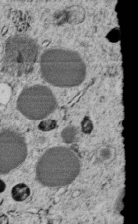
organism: C. elegans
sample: C. elegans embryo early stage